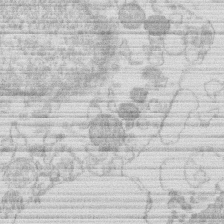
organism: Human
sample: Macrophage cells